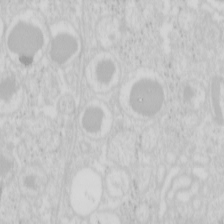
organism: Mouse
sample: Pancreas